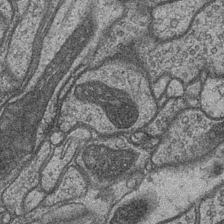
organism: Drosophila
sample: Optic medulla